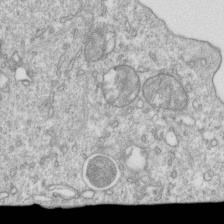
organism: Mouse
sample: Activated OT-1 CD8+ T cells